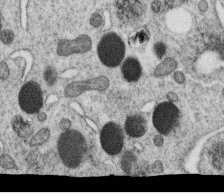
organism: C. elegans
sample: C. elegans oocyte; sperm cells